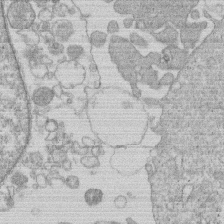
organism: Human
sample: Macrophage cells